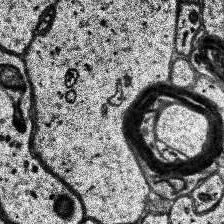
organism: Human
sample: Temporal Lobe